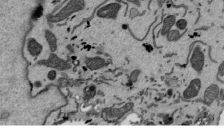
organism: Mouse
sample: ED-1 cell nuclei; centrioles